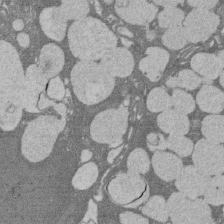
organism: Rat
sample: Salivary granule